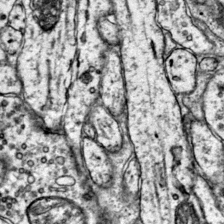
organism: Mouse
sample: Primary visual cortex